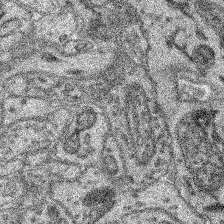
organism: Mouse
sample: Retina